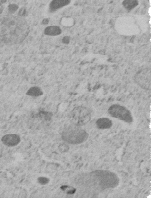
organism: C. elegans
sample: C. elegans embryo early stage